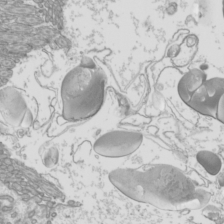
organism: Mouse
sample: Cilia; mouse epididymis